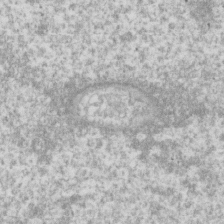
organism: Human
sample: Fibroblast cells